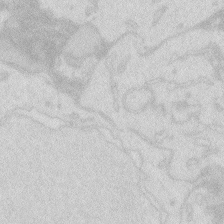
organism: Zebrafish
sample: Macrophage